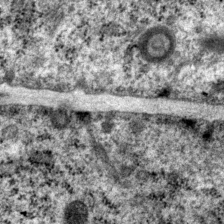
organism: P. pacificus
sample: Pharynx